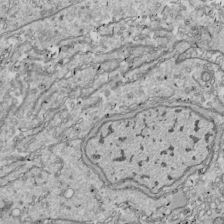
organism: Drosophila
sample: Cell division; meiosis; drosophila spermatocytes